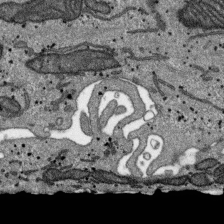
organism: Human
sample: Lung epithelial cells, uninfected (mock) control